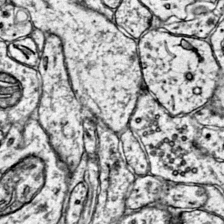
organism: Mouse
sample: Primary visual cortex